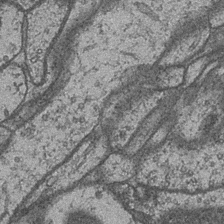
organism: Drosophila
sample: Optic medulla